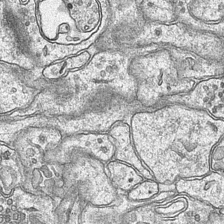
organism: Mouse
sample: CA1 Hippocampus